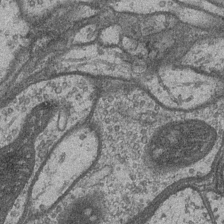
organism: Drosophila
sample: Optic medulla